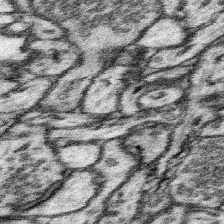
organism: Mouse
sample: Somatosensory cortex neuropil